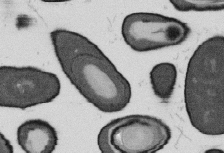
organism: B. subtilis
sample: Bacterial spore